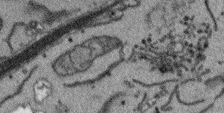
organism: Arabidopsis thaliana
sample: Root tip